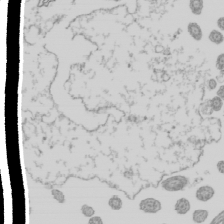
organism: Mouse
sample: Cilia; mouse epididymis